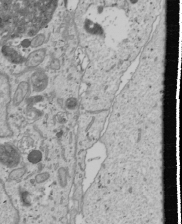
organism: Human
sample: Mitochondria in U2OS cells